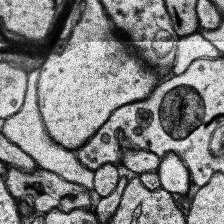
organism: Human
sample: Temporal Lobe